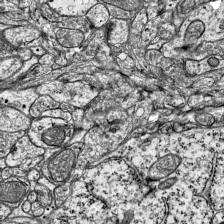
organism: Mouse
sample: Visual Cortex